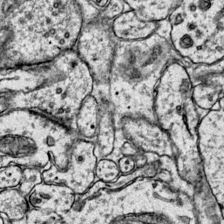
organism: Mouse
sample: Primary visual cortex